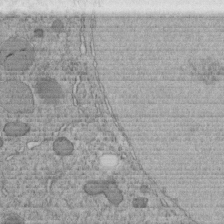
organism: C. elegans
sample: C. elegans embryo early stage